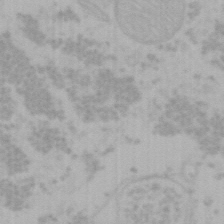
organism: Mouse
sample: Choroid plexus